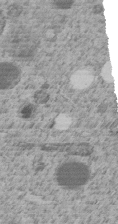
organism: C. elegans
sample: C. elegans embryo early stage